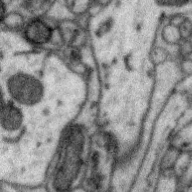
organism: Zebra finch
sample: Brain